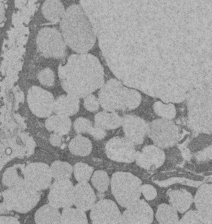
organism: Rat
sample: Salivary granule